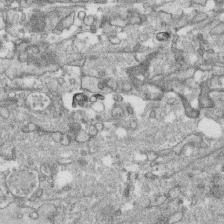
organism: Human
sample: CRL-1474